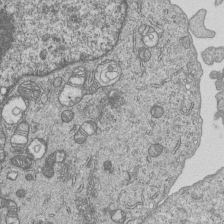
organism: Human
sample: MDA-MB-231 cells